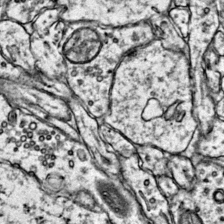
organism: Mouse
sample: Primary visual cortex